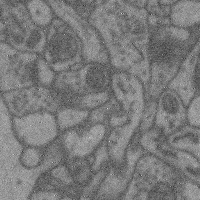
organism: Mouse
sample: Cerebral cortex